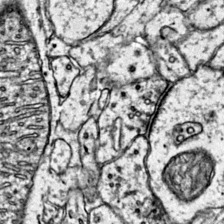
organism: Mouse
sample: Primary visual cortex